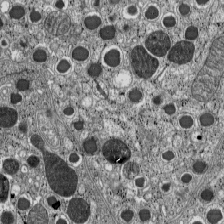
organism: C57BL Mouse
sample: Pancreatic islet